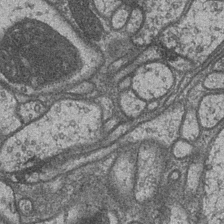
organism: Drosophila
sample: Optic medulla